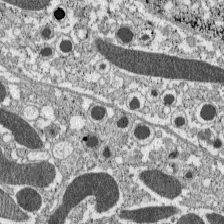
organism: C57BL Mouse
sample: Pancreatic islet